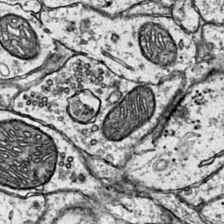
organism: Mouse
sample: Primary visual cortex